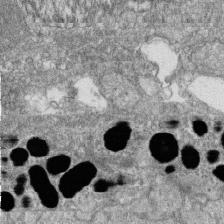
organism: Zebrafish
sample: Cilia; retinal pigment epithelium